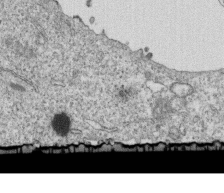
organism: Human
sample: HeLa cell HIV synapse